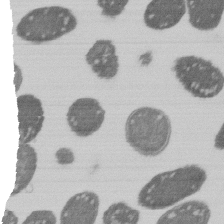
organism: E. coli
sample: Bacterial nucleoid